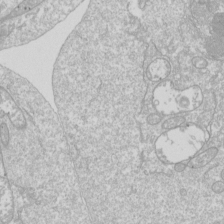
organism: Drosophila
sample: Cell division; meiosis; drosophila spermatocytes